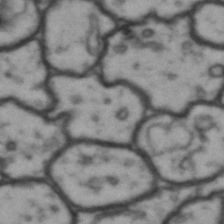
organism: Drosophila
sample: Brain